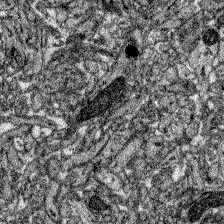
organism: Zebrafish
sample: Larval olfactory bulb